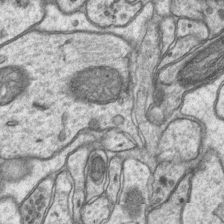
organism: Mouse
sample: CA1 Hippocampus